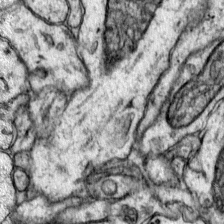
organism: Mouse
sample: Primary visual cortex